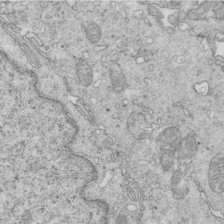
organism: Mouse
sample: Multiciliated cells